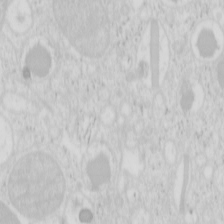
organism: Mouse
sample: Pancreas